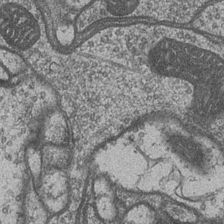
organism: Drosophila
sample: Optic medulla